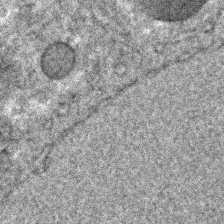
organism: C. elegans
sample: C. elegans embryo